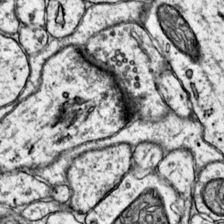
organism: Mouse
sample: Primary visual cortex